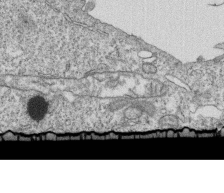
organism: Human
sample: HeLa cell HIV synapse